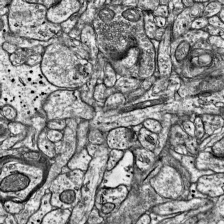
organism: Mouse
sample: Visual Cortex